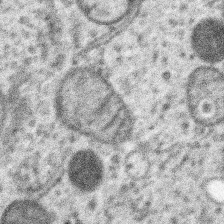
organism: Human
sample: HeLa cells